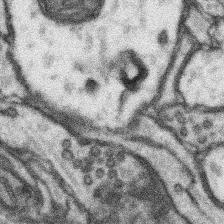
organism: Mouse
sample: Somatosensory cortex neuropil